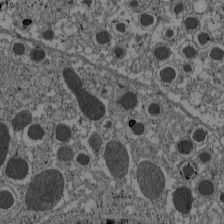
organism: C57BL Mouse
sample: Pancreatic islet